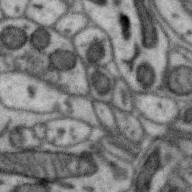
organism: Zebra finch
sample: Brain